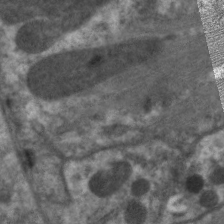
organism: C. elegans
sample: Pharynx